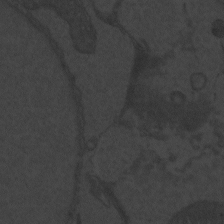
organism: Zebrafish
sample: Macrophage infected with Toxoplasma gondii